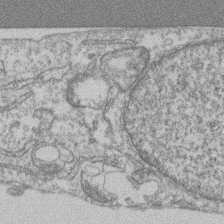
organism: Mouse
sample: T cell stromal cell synapse